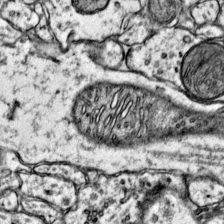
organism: Mouse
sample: Primary visual cortex